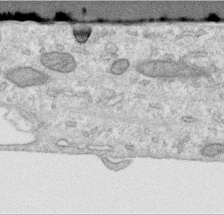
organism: Human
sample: Centriole in RPE cells